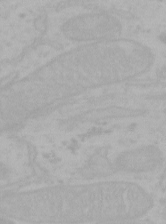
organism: Mouse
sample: Choroid plexus